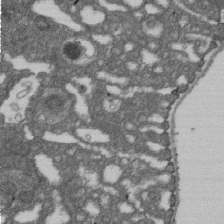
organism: Drosophila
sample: Nephrocyte